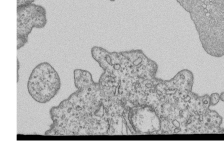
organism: Human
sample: MDA-MB-231 cells